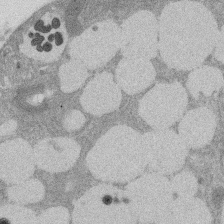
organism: Rat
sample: Salivary granule